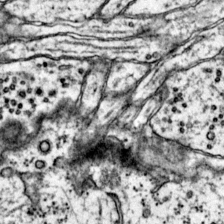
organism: Mouse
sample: Primary visual cortex